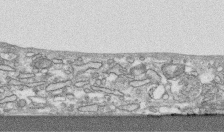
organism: Human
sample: CRL-1474